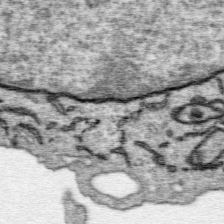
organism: Human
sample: HeLa cells